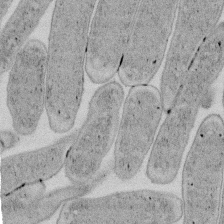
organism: E. coli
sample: Bacterial nucleoid